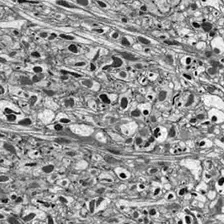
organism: Drosophila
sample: Optic lobe